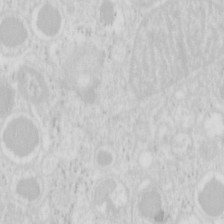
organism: Mouse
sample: Pancreas